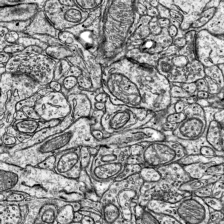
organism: Mouse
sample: Visual Cortex